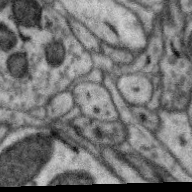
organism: Zebra finch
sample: Brain